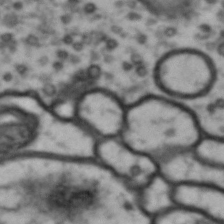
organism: Drosophila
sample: Brain